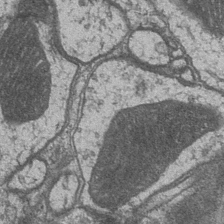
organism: Drosophila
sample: Optic medulla